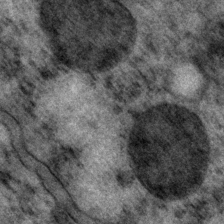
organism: P. pacificus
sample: Pharynx